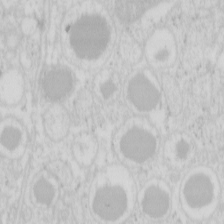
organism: Mouse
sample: Pancreas